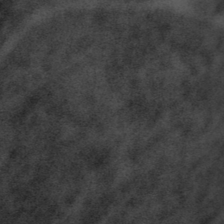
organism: Tuwongella immobilis